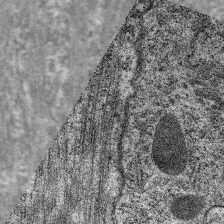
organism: C. elegans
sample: Pharynx